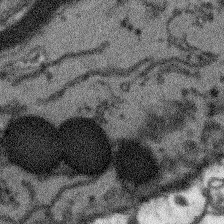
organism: Arabidopsis thaliana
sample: Root tip